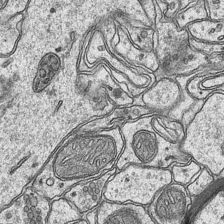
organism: Mouse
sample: CA1 Hippocampus